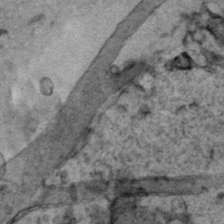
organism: Human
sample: Mitochondria in HCT116 cells